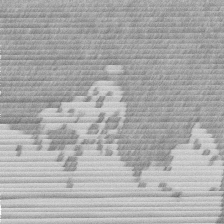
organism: Mouse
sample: Dividing mouse embryo 1 cell stage